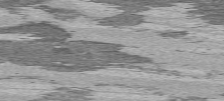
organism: C57BL Mouse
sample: Heart